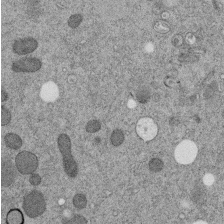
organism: C. elegans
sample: C. elegans embryo early stage